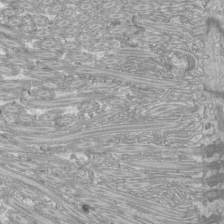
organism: Mouse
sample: Cilia; mouse epididymis